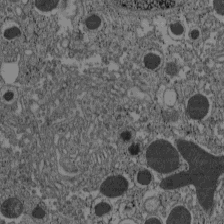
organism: C57BL Mouse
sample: Pancreatic islet